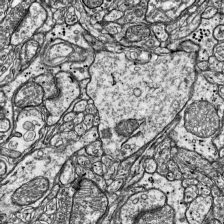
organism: Mouse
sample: Visual Cortex